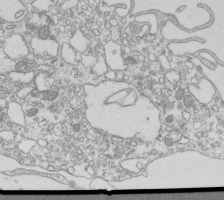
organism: Mouse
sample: Macrophages